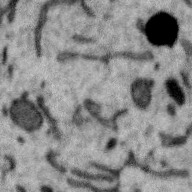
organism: Zebra finch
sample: Brain